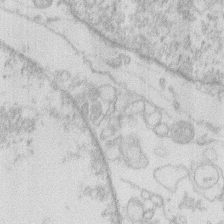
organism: Human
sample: Macrophage cells